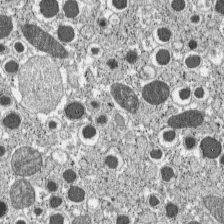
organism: C57BL Mouse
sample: Pancreatic islet